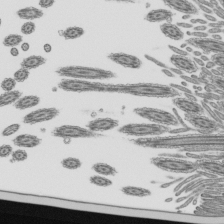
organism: Mouse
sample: Mouse epididymis efferent ductule cilia